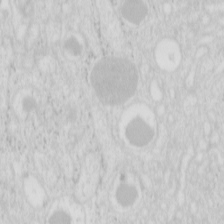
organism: Mouse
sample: Pancreas